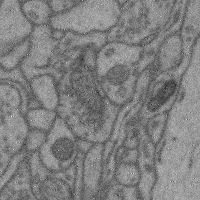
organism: Mouse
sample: Cerebral cortex